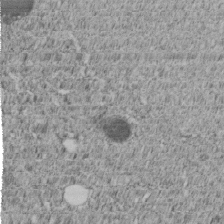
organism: C. elegans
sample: C. elegans embryo early stage